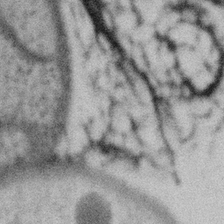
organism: Gemmata obscuriglobus